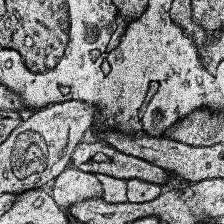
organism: Human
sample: Temporal Lobe